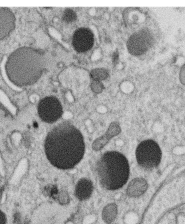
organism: C. elegans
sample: C. elegans oocyte; sperm cells